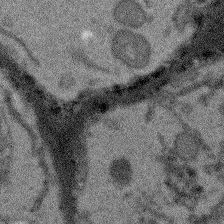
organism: Arabidopsis thaliana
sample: Root tip